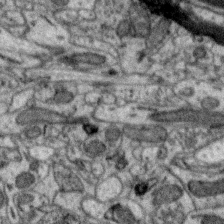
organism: Zebra finch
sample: Brain